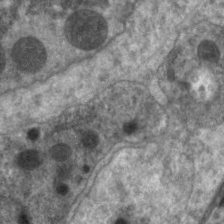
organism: C. elegans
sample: Pharynx